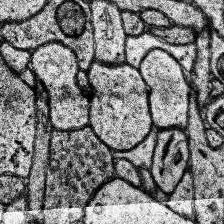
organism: Human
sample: Temporal Lobe